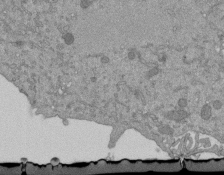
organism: Mouse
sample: ED-1 cell nuclei; centrioles